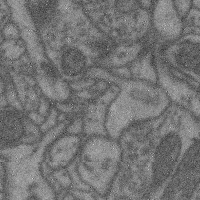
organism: Mouse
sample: Cerebral cortex